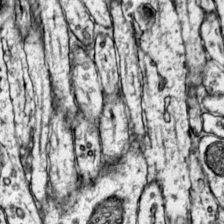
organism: Mouse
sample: Primary visual cortex